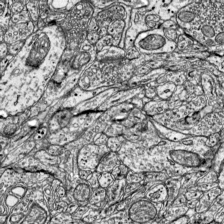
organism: Mouse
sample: Visual Cortex